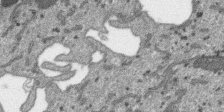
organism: Human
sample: Lung epithelial cells infected with SARS-CoV-2